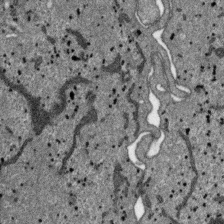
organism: Human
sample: Lung epithelial cells, uninfected (mock) control